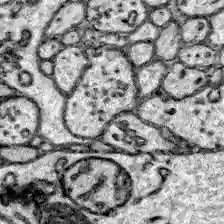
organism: Zebrafish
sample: Brain